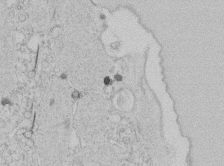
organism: Tetrahymena